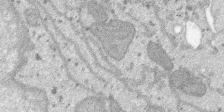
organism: Human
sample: Lung epithelial cells infected with SARS-CoV-2